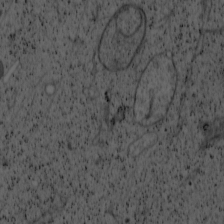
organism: African green monkey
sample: COS-7 cells